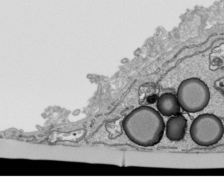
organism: Human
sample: Mitochondria in HCT116 cells